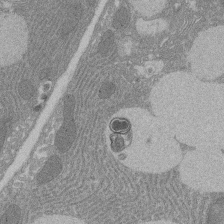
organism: Rat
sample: Salivary granule